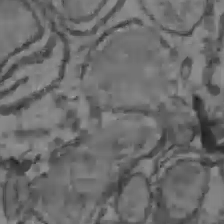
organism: C57BL Mouse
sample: Liver